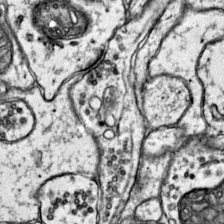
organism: Mouse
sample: Primary visual cortex